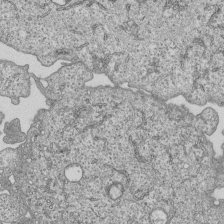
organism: Human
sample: MDA-MB-231 cells